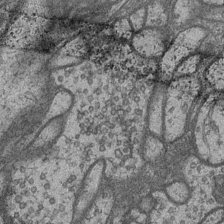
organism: Drosophila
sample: Optic medulla